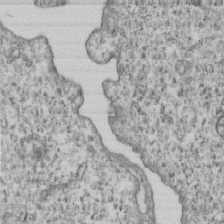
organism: Human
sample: MDA-MB-231 cells